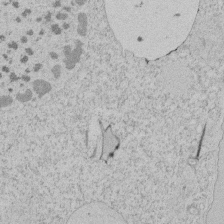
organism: Tetrahymena